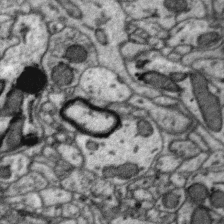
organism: Zebra finch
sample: Brain